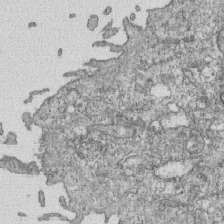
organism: Human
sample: HeLa cell HIV synapse